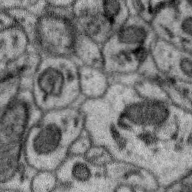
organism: Zebra finch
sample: Brain